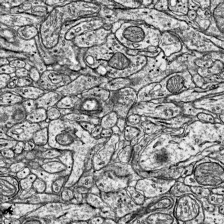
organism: Mouse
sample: Visual Cortex